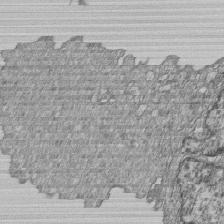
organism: Human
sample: MDA-MB-231 cells